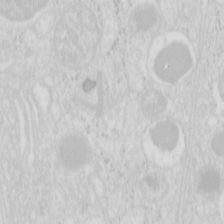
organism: Mouse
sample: Pancreas